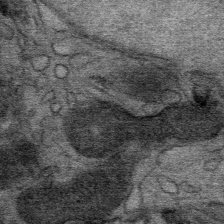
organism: Mouse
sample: Mouse Salivary gland